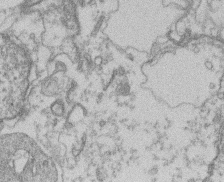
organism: Mouse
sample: T cell stromal cell synapse